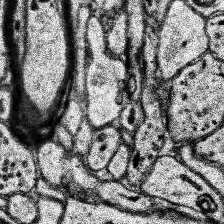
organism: Human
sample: Temporal Lobe